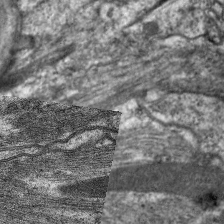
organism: C. elegans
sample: Pharynx